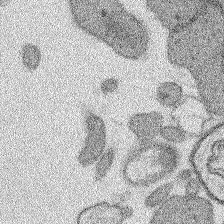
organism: Human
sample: HeLa cells